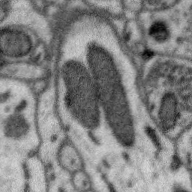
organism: Zebra finch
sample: Brain